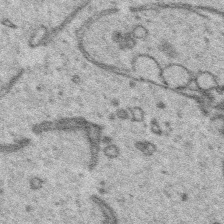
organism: Platynereis dumerilii